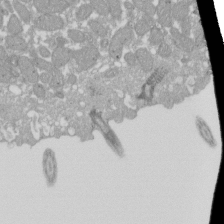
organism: Xenopus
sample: Cilia; centrioles in frog embryo cells